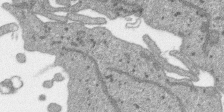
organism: Human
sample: Lung epithelial cells infected with SARS-CoV-2